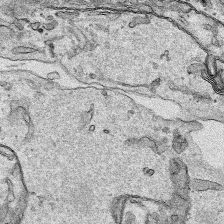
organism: Human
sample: Mitochondria in HCT116 cells